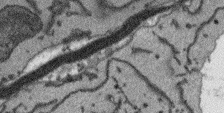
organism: Arabidopsis thaliana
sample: Root tip